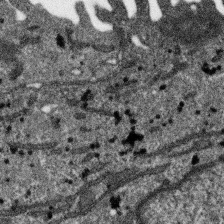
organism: Human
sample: Lung epithelial cells infected with SARS-CoV-2